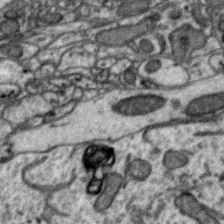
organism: Zebra finch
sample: Brain